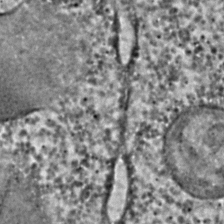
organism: C. elegans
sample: C. elegans embryo